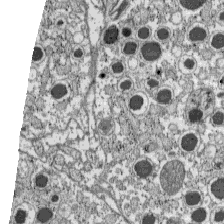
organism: C57BL Mouse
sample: Pancreatic islet